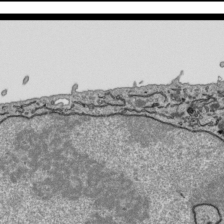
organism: Human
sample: Mitochondria in HCT116 cells